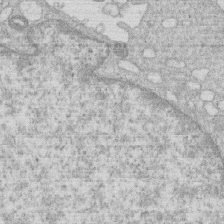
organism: Human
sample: Macrophage cells